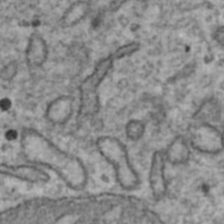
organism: Human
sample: Blood